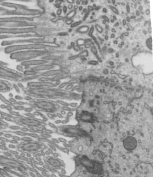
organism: Mouse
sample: Mouse epididymis efferent ductule cilia